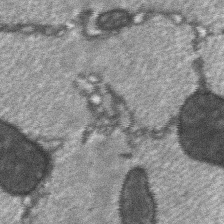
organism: C57BL Mouse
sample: Soleus